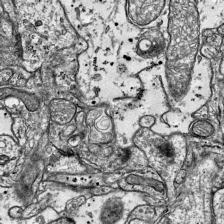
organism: Mouse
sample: Visual Cortex